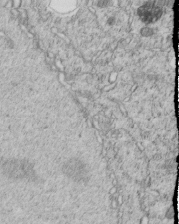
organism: C. elegans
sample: C. elegans embryo early stage